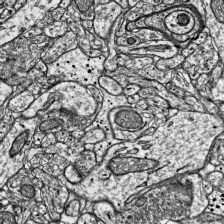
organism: Mouse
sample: Visual Cortex